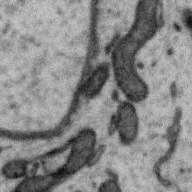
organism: Zebra finch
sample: Brain